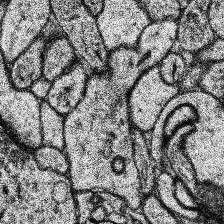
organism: Human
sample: Temporal Lobe